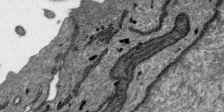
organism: Human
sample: Lung epithelial cells, uninfected (mock) control